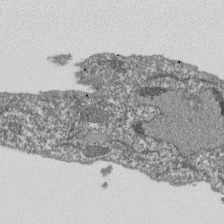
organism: Dictyostelium discoideum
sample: Dictyostelium multivesicular bodies